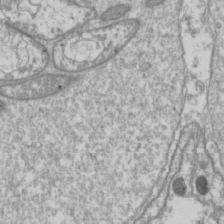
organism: Drosophila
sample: Cell division; meiosis; drosophila spermatocytes